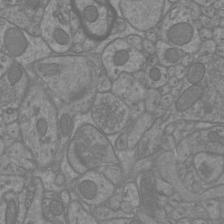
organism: Mouse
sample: Cortical neurons